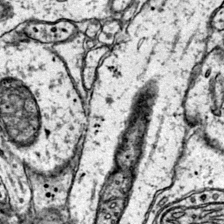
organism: Mouse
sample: Primary visual cortex